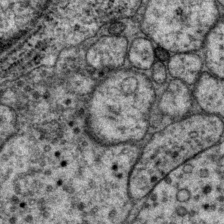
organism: P. pacificus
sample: Pharynx